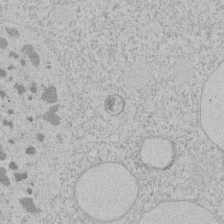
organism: Tetrahymena